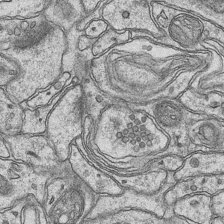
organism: Mouse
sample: CA1 Hippocampus